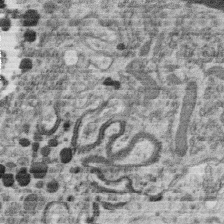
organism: C. elegans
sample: C. elegans oocyte; sperm cells